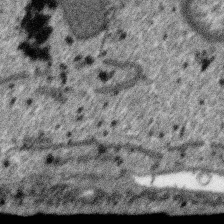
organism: Human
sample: Lung epithelial cells infected with SARS-CoV-2